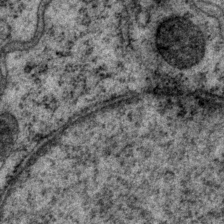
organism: P. pacificus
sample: Pharynx